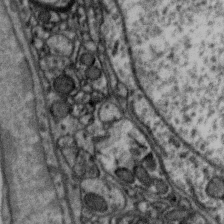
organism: Zebra finch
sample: Brain